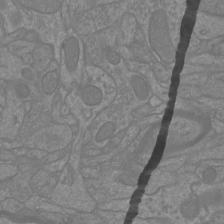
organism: Mouse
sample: Cortical neurons